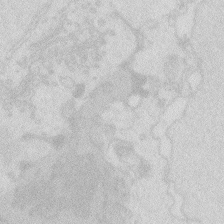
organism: Zebrafish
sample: Macrophage